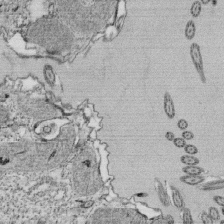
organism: Tetrahymena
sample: Cilia in tetrahymena